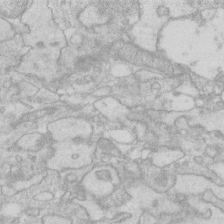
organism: Human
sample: Fibroblast cells